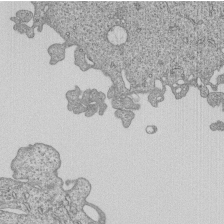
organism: Human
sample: MDA-MB-231 cells